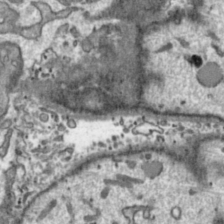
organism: Toxoplasma gondii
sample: Parasites in a vacuole inside a host cell